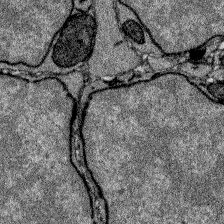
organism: Zebrafish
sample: Larval olfactory bulb